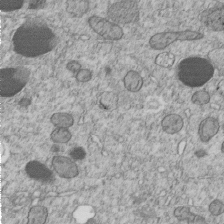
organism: C. elegans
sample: C. elegans embryo early stage